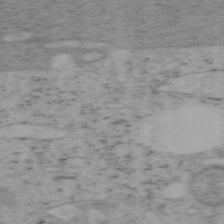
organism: Mouse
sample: OT-I killer T cells with ID8 ovarian cancer cells